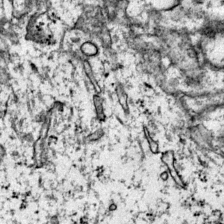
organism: Mouse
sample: Primary visual cortex